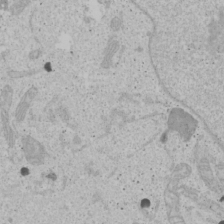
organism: Human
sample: Mitochondria in U2OS cells